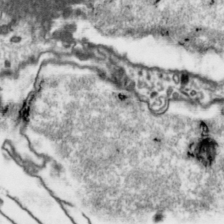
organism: Toxoplasma gondii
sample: Parasites in a vacuole inside a host cell